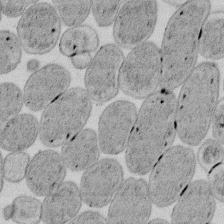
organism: E. coli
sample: Bacterial nucleoid